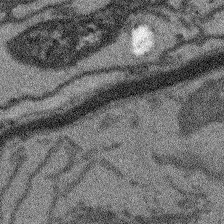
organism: Arabidopsis thaliana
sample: Root tip